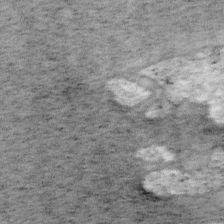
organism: Mouse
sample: OT-I killer T cells with ID8 ovarian cancer cells